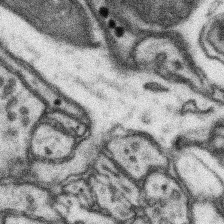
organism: Mouse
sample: Somatosensory cortex neuropil